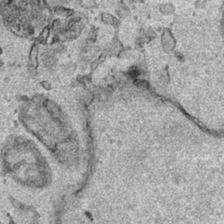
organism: Human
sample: Mitochondria in HCT116 cells